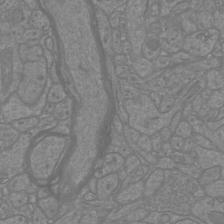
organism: Mouse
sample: Cortical neurons